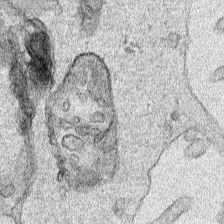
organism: Human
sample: Mitochondria in HCT116 cells